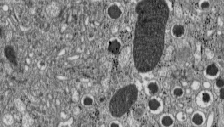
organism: C57BL Mouse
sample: Pancreatic islet